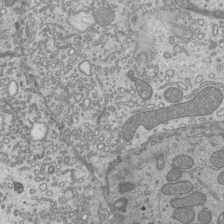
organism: Mouse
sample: Cilia; mouse epididymis